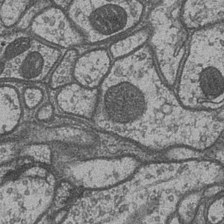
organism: Drosophila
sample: Optic medulla